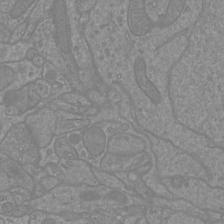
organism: Mouse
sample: Cortical neurons